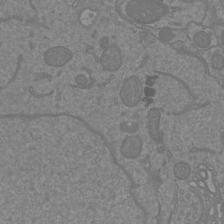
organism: Mouse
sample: Cortical neurons